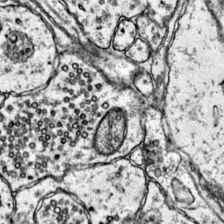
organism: Mouse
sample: Primary visual cortex